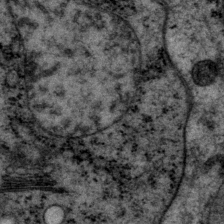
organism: P. pacificus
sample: Pharynx